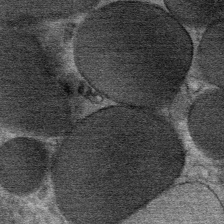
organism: Mouse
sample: Mouse Salivary gland